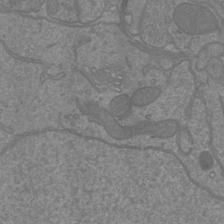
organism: Mouse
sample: Cortical neurons